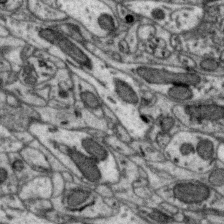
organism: Zebra finch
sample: Brain